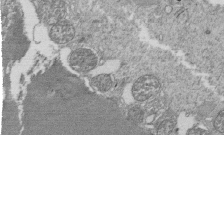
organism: Tetrahymena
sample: Cilia in tetrahymena